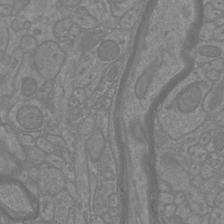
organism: Mouse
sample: Cortical neurons